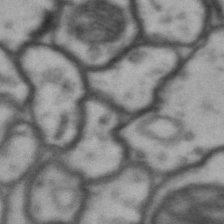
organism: Drosophila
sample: Brain